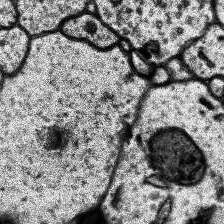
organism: Human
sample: Temporal Lobe